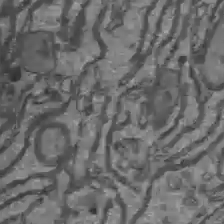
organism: C57BL Mouse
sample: Liver